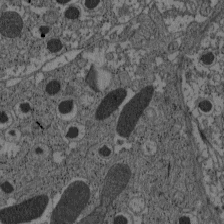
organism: C57BL Mouse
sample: Pancreatic islet